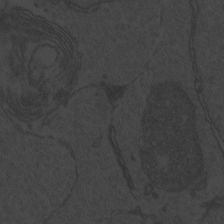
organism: Zebrafish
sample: Macrophage infected with Toxoplasma gondii